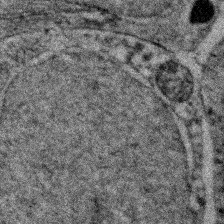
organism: Zebrafish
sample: Zebrafish embryo